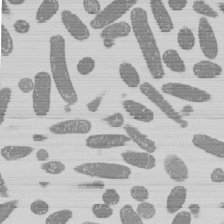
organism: E. coli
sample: Bacterial nucleoid